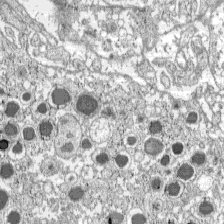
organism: C57BL Mouse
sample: Pancreatic islet